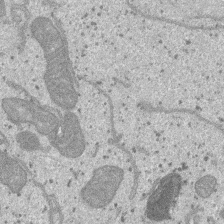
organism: Human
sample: Lung epithelial cells infected with SARS-CoV-2